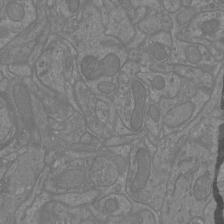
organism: Mouse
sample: Cortical neurons